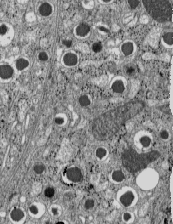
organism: C57BL Mouse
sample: Pancreatic islet